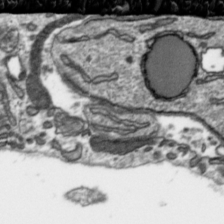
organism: Toxoplasma gondii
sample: Parasites in a vacuole inside a host cell